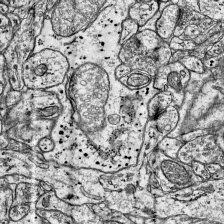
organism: Mouse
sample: Visual Cortex